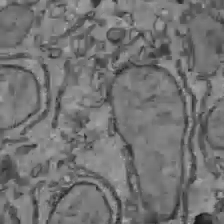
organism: C57BL Mouse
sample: Liver